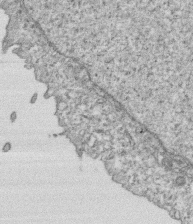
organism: Human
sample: HeLa cell HIV synapse